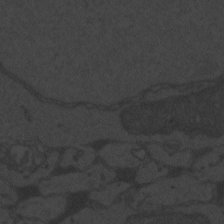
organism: Zebrafish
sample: Macrophage infected with Toxoplasma gondii